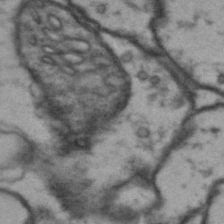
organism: Drosophila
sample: Brain